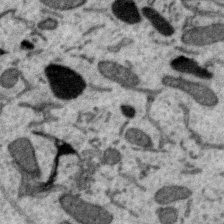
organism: Zebra finch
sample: Brain